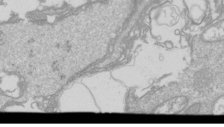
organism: Drosophila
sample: Cell division; meiosis; drosophila spermatocytes